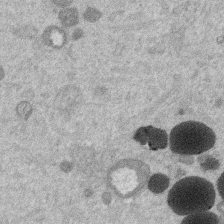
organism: Mouse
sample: Dividing mouse embryo 1 cell stage